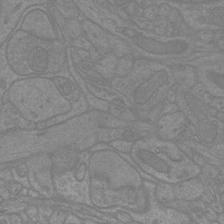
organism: Mouse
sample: Cortical neurons